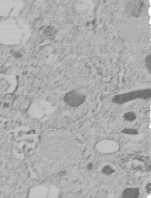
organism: C. elegans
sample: C. elegans embryo early stage